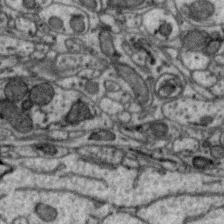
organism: Zebra finch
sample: Brain